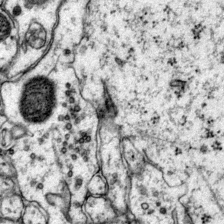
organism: Mouse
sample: Primary visual cortex